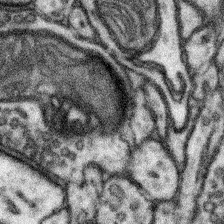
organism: Mouse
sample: Somatosensory cortex neuropil